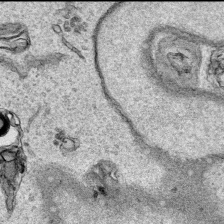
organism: Human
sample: Mitochondria in HCT116 cells